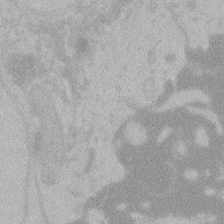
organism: Zebrafish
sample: Macrophage infected with Toxoplasma gondii